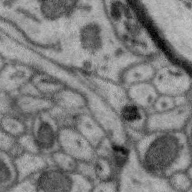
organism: Zebra finch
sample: Brain